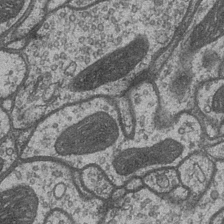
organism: Drosophila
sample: Optic medulla